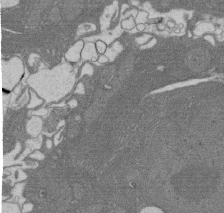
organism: Rat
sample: Salivary granule